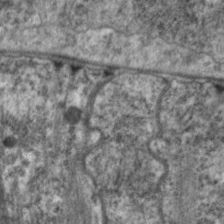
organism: C. elegans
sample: Pharynx